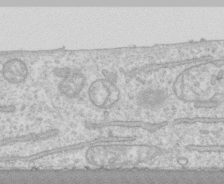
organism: Human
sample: CRL-1474